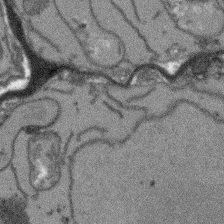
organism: Arabidopsis thaliana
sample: Root tip